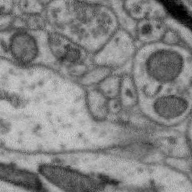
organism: Zebra finch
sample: Brain